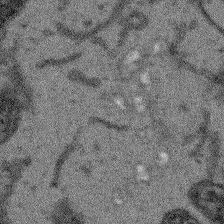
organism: Arabidopsis thaliana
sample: Root tip